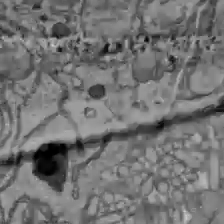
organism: C57BL Mouse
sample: Liver